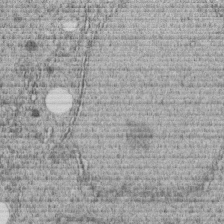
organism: C. elegans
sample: C. elegans embryo early stage